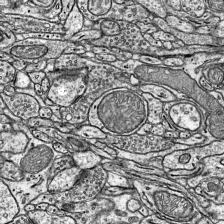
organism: Mouse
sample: Visual Cortex